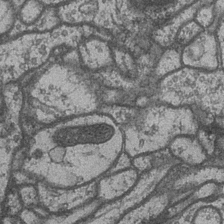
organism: Drosophila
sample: Optic medulla